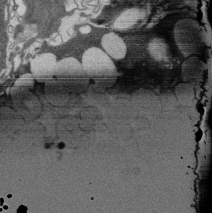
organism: Rat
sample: Salivary granule